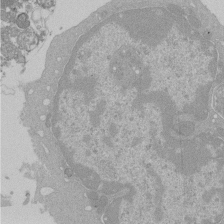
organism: Mouse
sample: Activated Pmel transgenic CD8+ T Cells